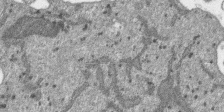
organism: Human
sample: Lung epithelial cells infected with SARS-CoV-2